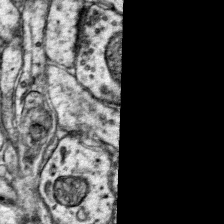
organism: Mouse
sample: Primary visual cortex